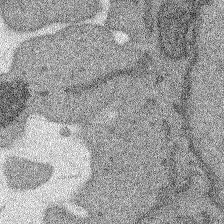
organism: Human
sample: HeLa cells